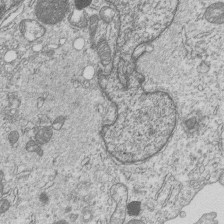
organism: Human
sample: MDA-MB-231 cells